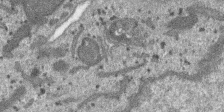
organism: Human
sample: Lung epithelial cells infected with SARS-CoV-2